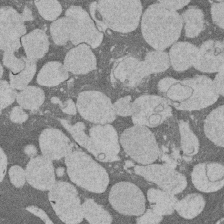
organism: Rat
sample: Salivary granule